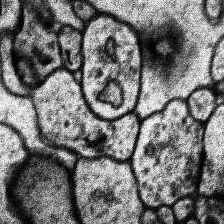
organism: Human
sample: Temporal Lobe